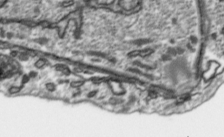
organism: Toxoplasma gondii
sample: Parasites in a vacuole inside a host cell